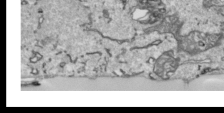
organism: Human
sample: Mitochondria in HCT116 cells